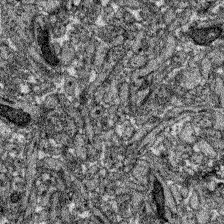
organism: Zebrafish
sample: Larval olfactory bulb